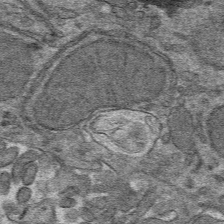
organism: Mouse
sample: Mouse hepatocytes